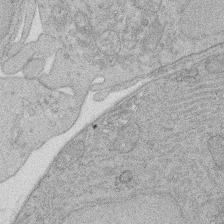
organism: Rat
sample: Salivary granule